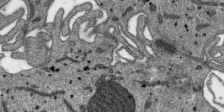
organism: Human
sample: Lung epithelial cells, uninfected (mock) control